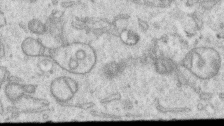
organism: Human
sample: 1205lu cells